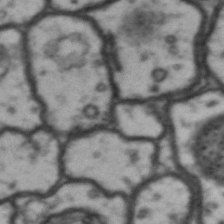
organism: Drosophila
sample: Brain